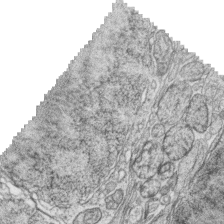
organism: Zebrafish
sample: synaptic ribbons in rod cells and cone cells